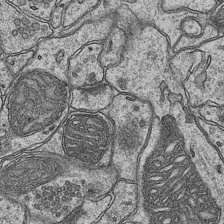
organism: Mouse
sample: CA1 Hippocampus